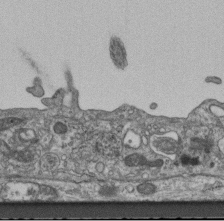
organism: Mouse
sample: Centriole in ependymal cells